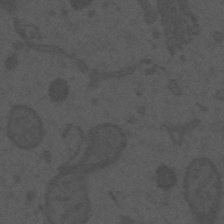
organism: Mouse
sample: Suprachiasmatic nucleus